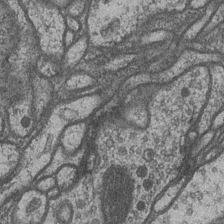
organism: Drosophila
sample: Optic medulla